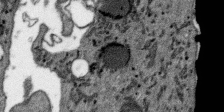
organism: Human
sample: Lung epithelial cells, uninfected (mock) control